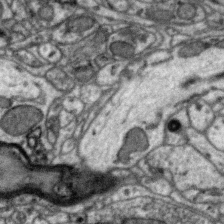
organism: Zebra finch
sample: Brain